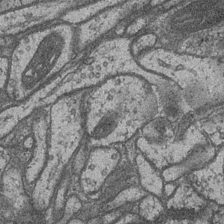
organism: Drosophila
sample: Optic medulla